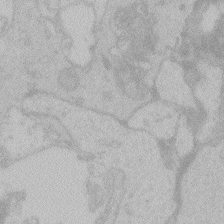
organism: Zebrafish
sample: Macrophage infected with Toxoplasma gondii